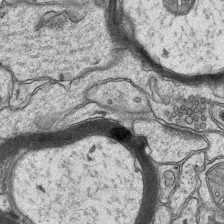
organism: Mouse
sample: CA1 Hippocampus